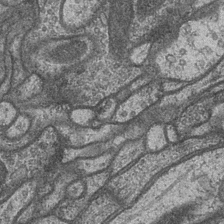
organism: Drosophila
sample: Optic medulla